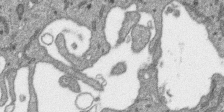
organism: Human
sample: Lung epithelial cells infected with SARS-CoV-2